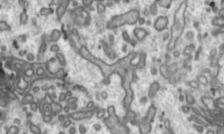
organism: Toxoplasma gondii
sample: Parasites in a vacuole inside a host cell